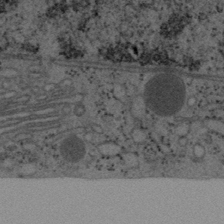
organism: Human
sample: HeLa cells